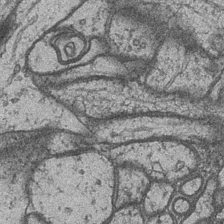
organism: Drosophila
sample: Optic medulla